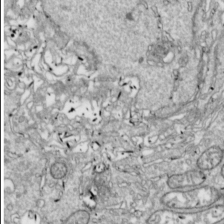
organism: Drosophila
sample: Cell division; meiosis; drosophila spermatocytes